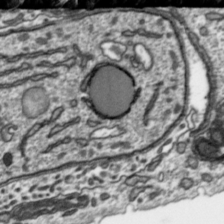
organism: Toxoplasma gondii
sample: Parasites in a vacuole inside a host cell